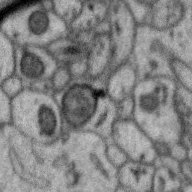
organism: Zebra finch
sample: Brain